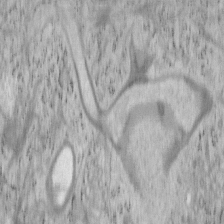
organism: Human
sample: HeLa cells